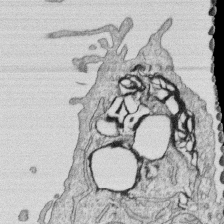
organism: Human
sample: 1205lu cells